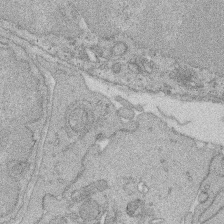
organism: Rat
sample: Salivary granule